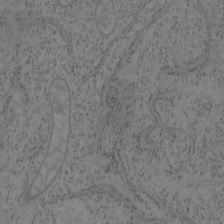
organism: Mouse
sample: OT-I killer T cells with ID8 ovarian cancer cells